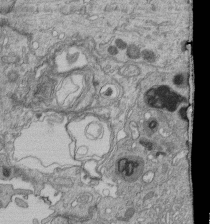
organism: Human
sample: Retinal organoid Rod and Cone cells